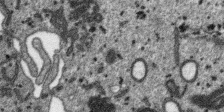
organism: Human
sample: Lung epithelial cells infected with SARS-CoV-2